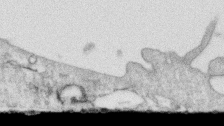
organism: Human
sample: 1205lu cells